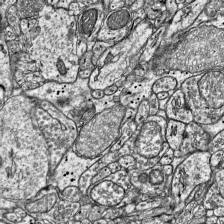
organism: Mouse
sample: Visual Cortex